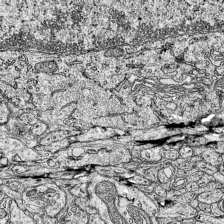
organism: Mouse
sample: Visual Cortex